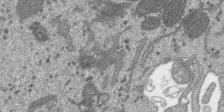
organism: Human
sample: Lung epithelial cells infected with SARS-CoV-2